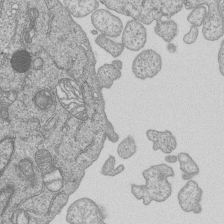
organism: Human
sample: MDA-MB-231 cells